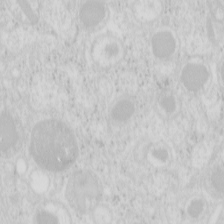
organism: Mouse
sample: Pancreas